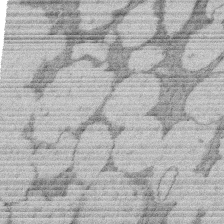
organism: Rat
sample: Salivary granule